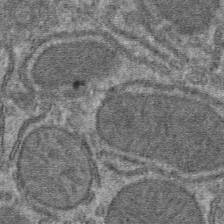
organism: Mouse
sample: Mouse hepatocytes